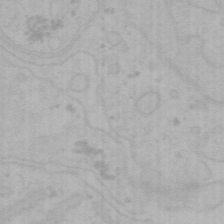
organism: Mouse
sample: Choroid plexus